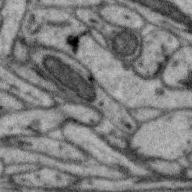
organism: Zebra finch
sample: Brain